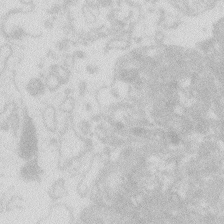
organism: Zebrafish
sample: Macrophage